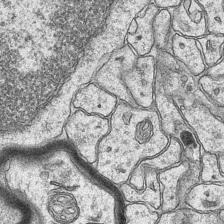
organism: Mouse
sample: CA1 Hippocampus